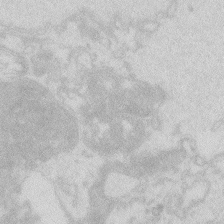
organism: Zebrafish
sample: Macrophage